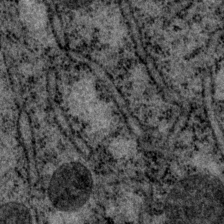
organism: P. pacificus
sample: Pharynx